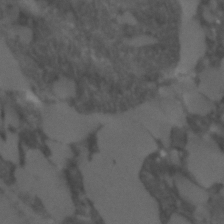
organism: C. elegans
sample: C. elegans embryo